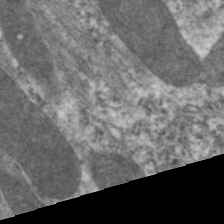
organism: C. elegans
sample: Pharynx